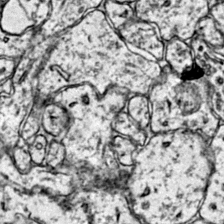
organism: Mouse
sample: Primary visual cortex